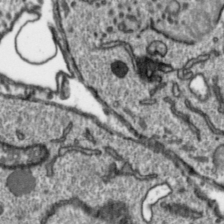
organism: Toxoplasma gondii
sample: Parasites in a vacuole inside a host cell